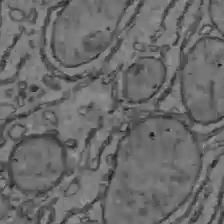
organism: C57BL Mouse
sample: Liver